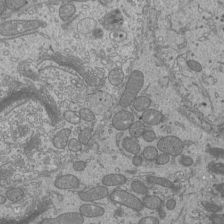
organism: Mouse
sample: Cilia; mouse epididymis